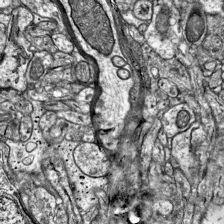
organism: Mouse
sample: Visual Cortex